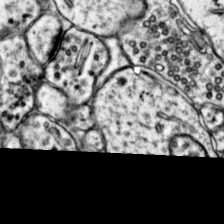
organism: Mouse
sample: Primary visual cortex